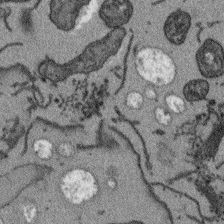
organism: Arabidopsis thaliana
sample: Root tip